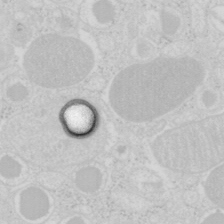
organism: Mouse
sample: Pancreas